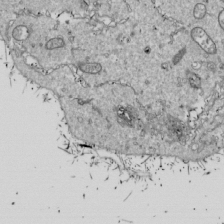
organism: Drosophila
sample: Cell division; meiosis; drosophila spermatocytes